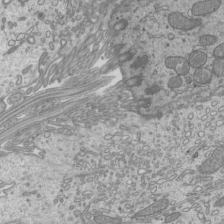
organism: Mouse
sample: Cilia; mouse epididymis